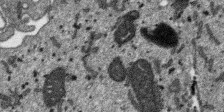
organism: Human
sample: Lung epithelial cells infected with SARS-CoV-2